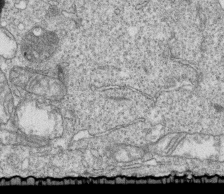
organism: Human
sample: HeLa cell HIV synapse